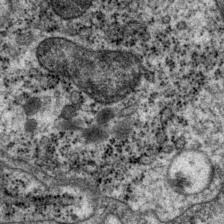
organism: P. pacificus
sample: Pharynx